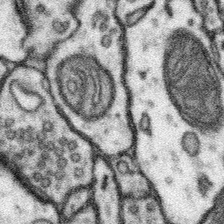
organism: Mouse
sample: Somatosensory cortex neuropil